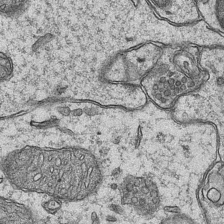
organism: Mouse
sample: CA1 Hippocampus